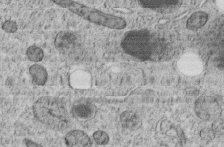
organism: C. elegans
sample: C. elegans embryo early stage